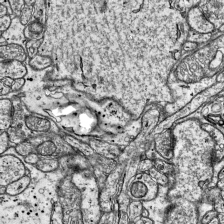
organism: Mouse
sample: Visual Cortex